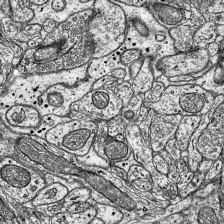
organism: Mouse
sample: Visual Cortex